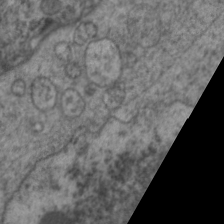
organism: C. elegans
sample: Pharynx